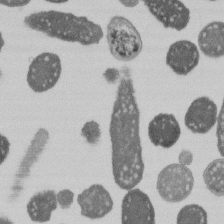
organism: E. coli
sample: Bacterial nucleoid